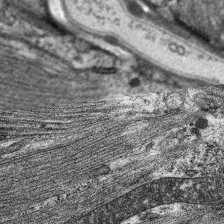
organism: C. elegans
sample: Pharynx